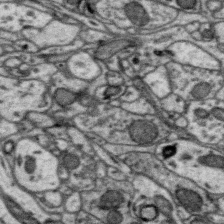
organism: Zebra finch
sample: Brain